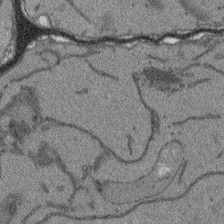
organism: Arabidopsis thaliana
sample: Root tip